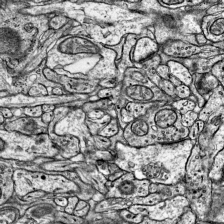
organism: Mouse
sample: Visual Cortex